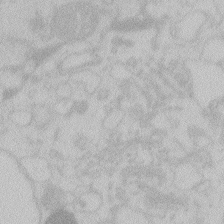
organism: Zebrafish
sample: Macrophage infected with Toxoplasma gondii